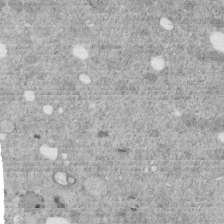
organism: C. elegans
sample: C. elegans embryo early stage